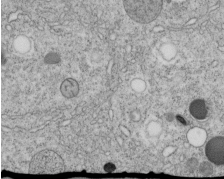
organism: C. elegans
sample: C. elegans embryo early stage